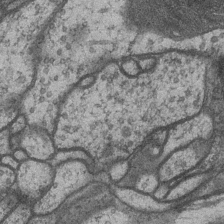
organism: Drosophila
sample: Optic medulla